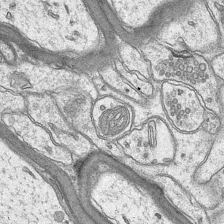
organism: Mouse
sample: CA1 Hippocampus